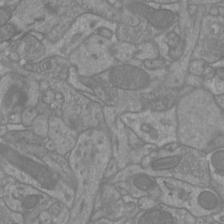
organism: Mouse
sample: Cortical neurons